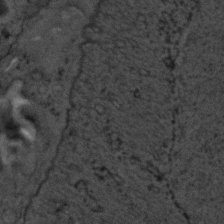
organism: C. elegans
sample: C. elegans embryo